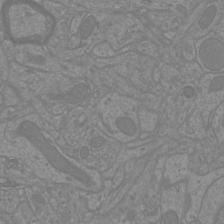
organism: Mouse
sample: Cortical neurons